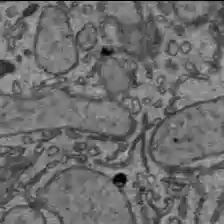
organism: C57BL Mouse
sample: Liver